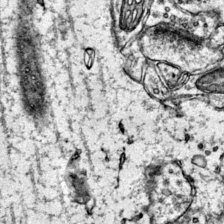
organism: Mouse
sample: Primary visual cortex